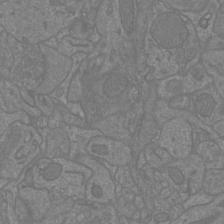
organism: Mouse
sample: Cortical neurons